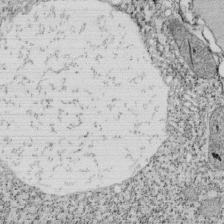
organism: Tetrahymena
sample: Cilia in tetrahymena